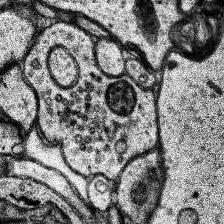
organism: Human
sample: Temporal Lobe